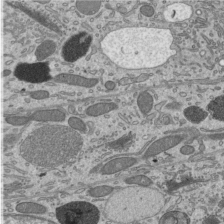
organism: Mouse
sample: Mouse epididymis efferent ductule cilia